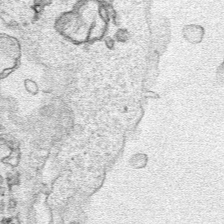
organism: Human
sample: Mitochondria in HCT116 cells